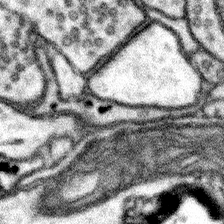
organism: Mouse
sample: Somatosensory cortex neuropil